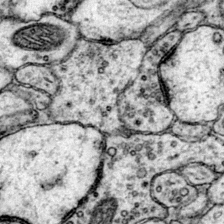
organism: Mouse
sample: Primary visual cortex